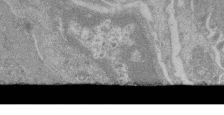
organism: Mouse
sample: Glomerulus